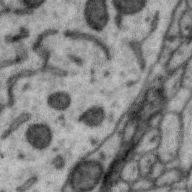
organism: Zebra finch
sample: Brain